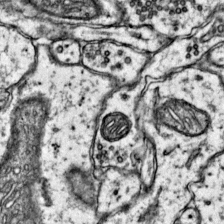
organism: Mouse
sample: Primary visual cortex